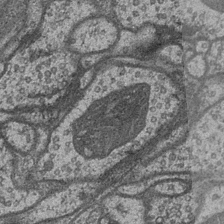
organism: Drosophila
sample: Optic medulla